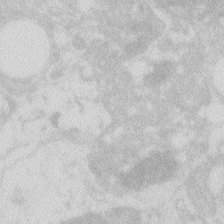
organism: Zebrafish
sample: Macrophage